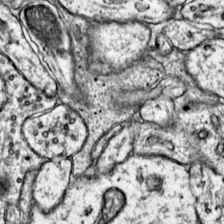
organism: Mouse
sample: Primary visual cortex